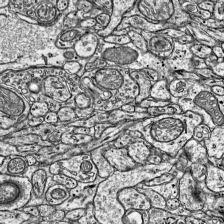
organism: Mouse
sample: Visual Cortex